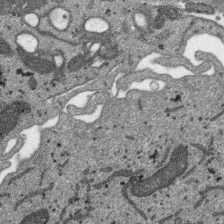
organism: Human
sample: Lung epithelial cells infected with SARS-CoV-2